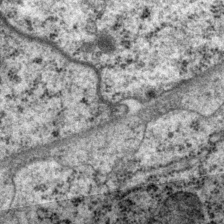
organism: P. pacificus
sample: Pharynx